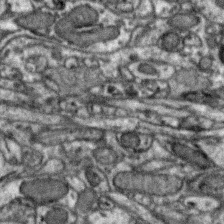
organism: Zebra finch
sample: Brain